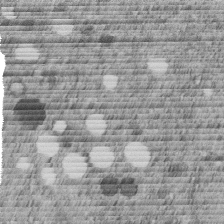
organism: C. elegans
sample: C. elegans embryo early stage